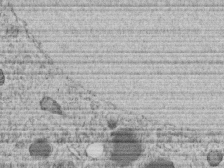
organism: C. elegans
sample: C. elegans embryo early stage